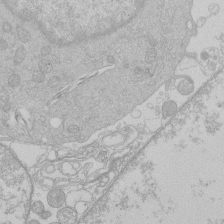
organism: Human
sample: Macrophage cells